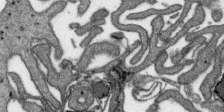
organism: Human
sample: Lung epithelial cells, uninfected (mock) control